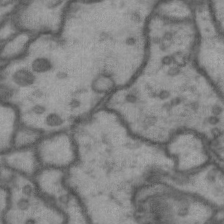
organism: Drosophila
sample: Brain